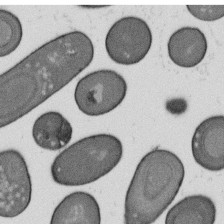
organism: B. subtilis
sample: Bacterial spore